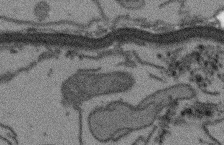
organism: Arabidopsis thaliana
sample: Root tip